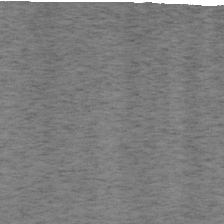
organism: Mouse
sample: OT-I killer T cells with ID8 ovarian cancer cells